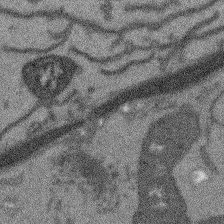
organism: Arabidopsis thaliana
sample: Root tip